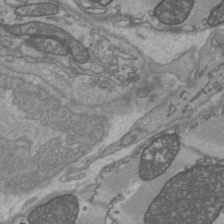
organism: C57BL Mouse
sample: Heart